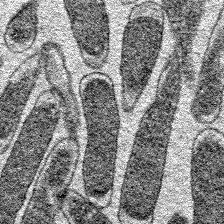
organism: E. coli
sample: E. Coli Bacteria